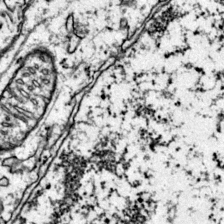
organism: Mouse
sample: Primary visual cortex